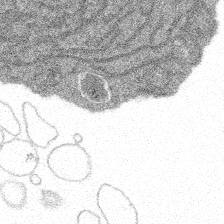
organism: Spongilla lacustris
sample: Multiple